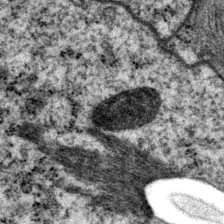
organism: P. pacificus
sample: Pharynx